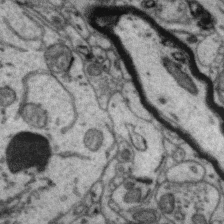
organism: Zebra finch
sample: Brain